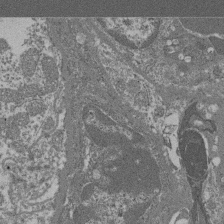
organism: Mouse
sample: Glomerulus